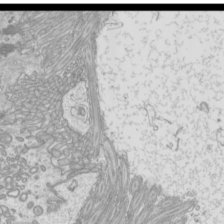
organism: Mouse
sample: Cilia; mouse epididymis